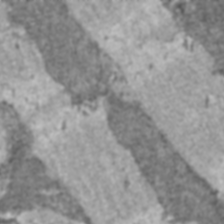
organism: C57BL Mouse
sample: Heart